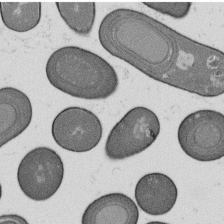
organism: B. subtilis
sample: Bacterial spore